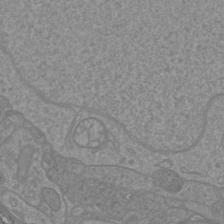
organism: Mouse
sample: Cortical neurons